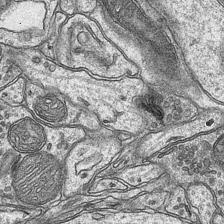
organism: Mouse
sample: CA1 Hippocampus